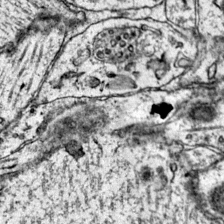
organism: Mouse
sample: Primary visual cortex